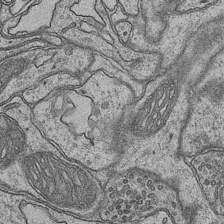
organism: Mouse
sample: CA1 Hippocampus